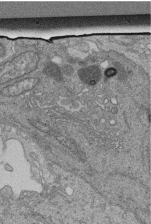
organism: Human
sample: Retinal organoid Rod and Cone cells